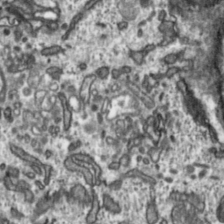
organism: Toxoplasma gondii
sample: Parasites in a vacuole inside a host cell